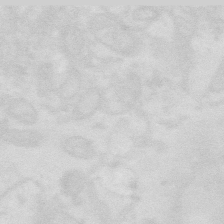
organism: Human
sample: HeLa cells